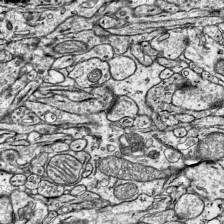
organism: Mouse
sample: Visual Cortex